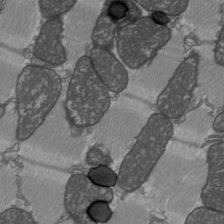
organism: C57BL Mouse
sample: Heart